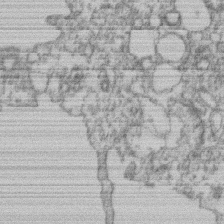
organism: Mouse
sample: T cell stromal cell synapse